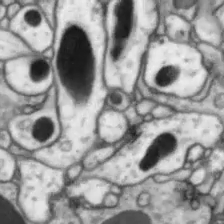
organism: Drosophila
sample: Optic lobe